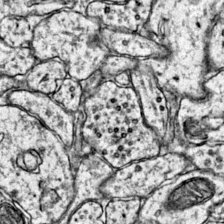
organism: Mouse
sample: Primary visual cortex